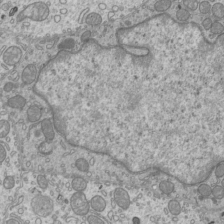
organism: Mouse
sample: Cilia; mouse epididymis